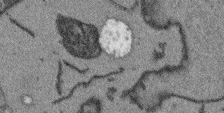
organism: Arabidopsis thaliana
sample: Root tip